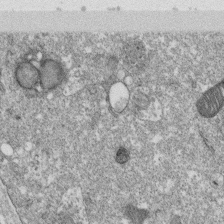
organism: African green monkey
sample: Vero E6 cells infected with SARS-CoV-2